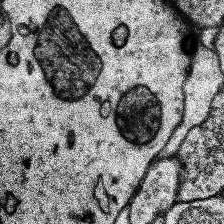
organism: Human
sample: Temporal Lobe